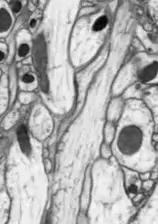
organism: Drosophila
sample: Optic lobe